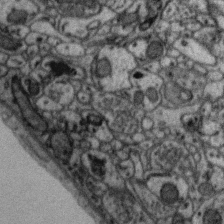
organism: Zebra finch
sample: Brain